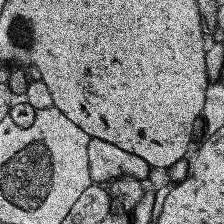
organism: Human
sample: Temporal Lobe